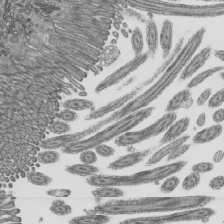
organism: Mouse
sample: Mouse epididymis efferent ductule cilia